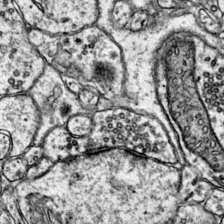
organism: Mouse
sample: Primary visual cortex